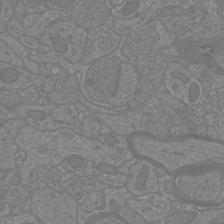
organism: Mouse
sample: Cortical neurons